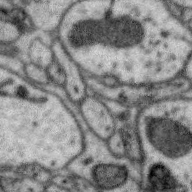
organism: Zebra finch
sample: Brain